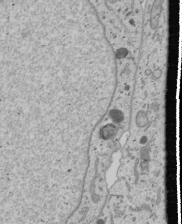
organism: Human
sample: Mitochondria in U2OS cells